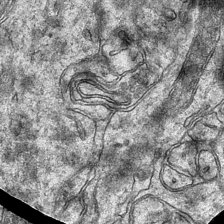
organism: Mouse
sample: CA1 Hippocampus